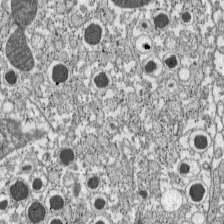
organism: C57BL Mouse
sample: Pancreatic islet